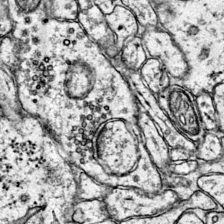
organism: Mouse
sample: Primary visual cortex